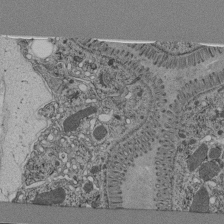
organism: C. elegans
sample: C. elegans pharynx